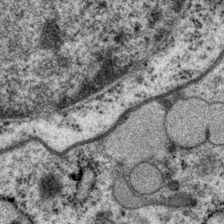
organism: P. pacificus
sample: Pharynx